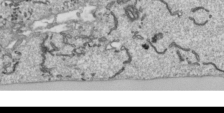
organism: Human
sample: Mitochondria in HCT116 cells